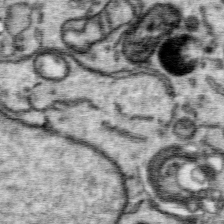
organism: Human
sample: HeLa cells